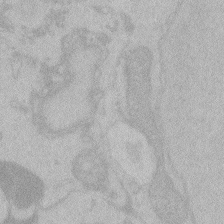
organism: Zebrafish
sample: Macrophage infected with Toxoplasma gondii